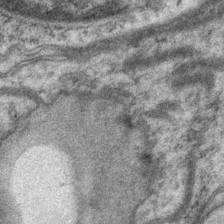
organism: P. pacificus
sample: Pharynx